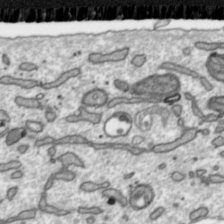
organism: Toxoplasma gondii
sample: Parasites in a vacuole inside a host cell